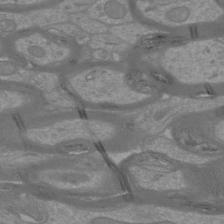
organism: Mouse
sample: Cortical neurons